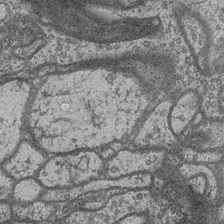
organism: Drosophila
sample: Optic medulla